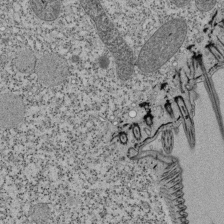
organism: Tetrahymena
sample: Cilia in tetrahymena